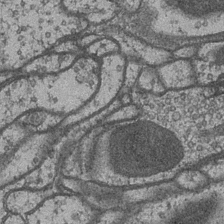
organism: Drosophila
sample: Optic medulla